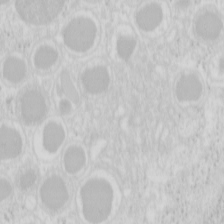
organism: Mouse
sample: Pancreas